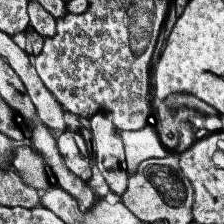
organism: Human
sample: Temporal Lobe